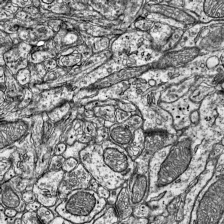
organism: Mouse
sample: Visual Cortex